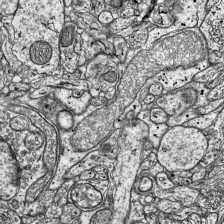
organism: Mouse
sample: Visual Cortex